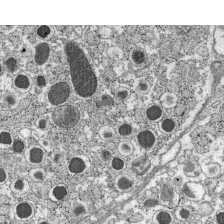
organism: C57BL Mouse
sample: Pancreatic islet